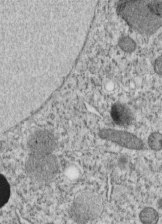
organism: C. elegans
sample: C. elegans embryo early stage